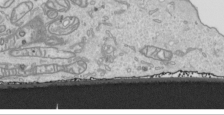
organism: Human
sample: Mitochondria in HCT116 cells